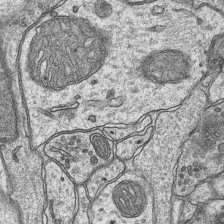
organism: Mouse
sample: CA1 Hippocampus